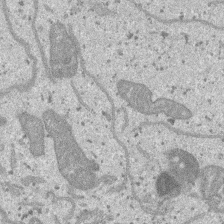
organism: Human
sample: Lung epithelial cells infected with SARS-CoV-2